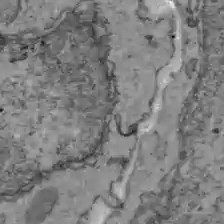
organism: C57BL Mouse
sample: Liver